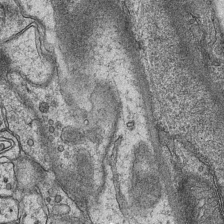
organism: Mouse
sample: CA1 Hippocampus